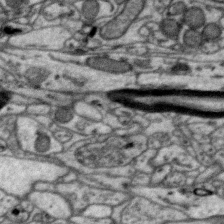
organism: Zebra finch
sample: Brain